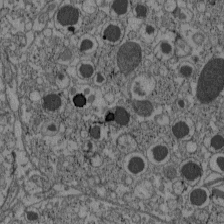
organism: C57BL Mouse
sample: Pancreatic islet